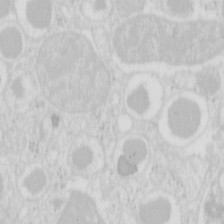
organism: Mouse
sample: Pancreas